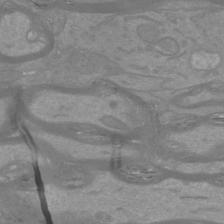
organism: Mouse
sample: Cortical neurons